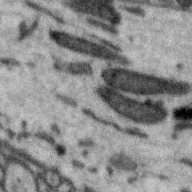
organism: Zebra finch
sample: Brain